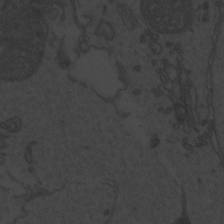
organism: Zebrafish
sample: Macrophage infected with Toxoplasma gondii